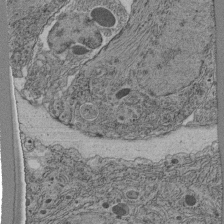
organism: C. elegans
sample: C. elegans pharynx